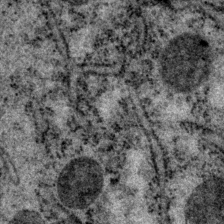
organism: P. pacificus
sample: Pharynx